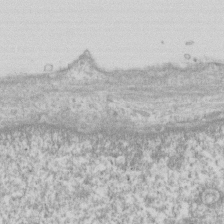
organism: Human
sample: Fibroblast cells